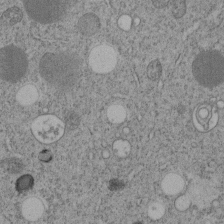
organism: C. elegans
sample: C. elegans embryo early stage